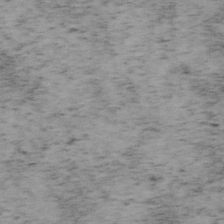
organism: Mouse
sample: OT-I killer T cells with ID8 ovarian cancer cells